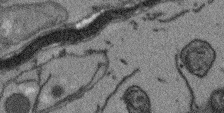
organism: Arabidopsis thaliana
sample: Root tip